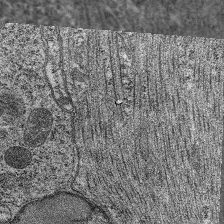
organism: C. elegans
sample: Pharynx